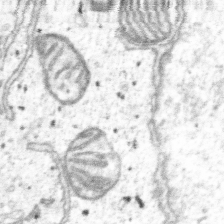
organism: Human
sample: HeLa cells